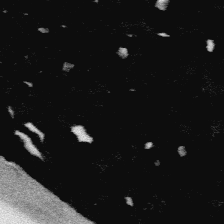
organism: Platynereis dumerilii